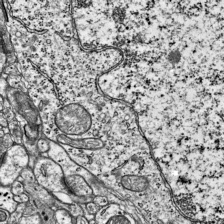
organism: Mouse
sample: Visual Cortex